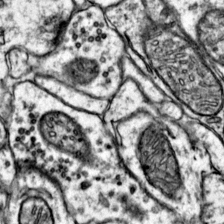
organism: Mouse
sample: Primary visual cortex